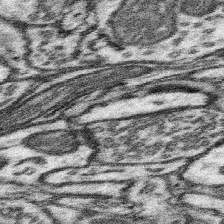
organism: Mouse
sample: Somatosensory cortex neuropil